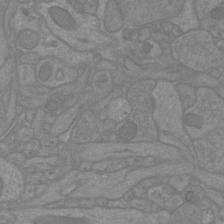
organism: Mouse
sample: Cortical neurons